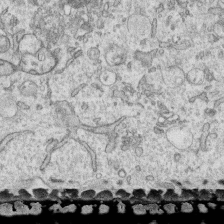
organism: Human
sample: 1205lu cells